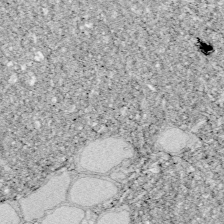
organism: Zebrafish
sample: Whole-Brain